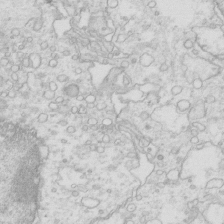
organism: Mouse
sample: Multiciliated cells